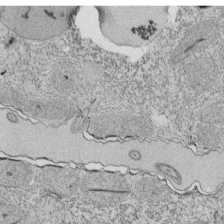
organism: Tetrahymena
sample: Cilia in tetrahymena